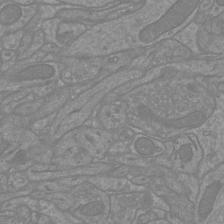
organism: Mouse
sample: Cortical neurons